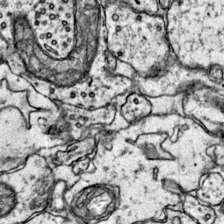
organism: Mouse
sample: Primary visual cortex